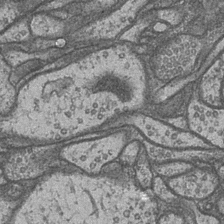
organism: Drosophila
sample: Optic medulla